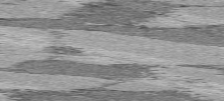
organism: C57BL Mouse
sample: Heart